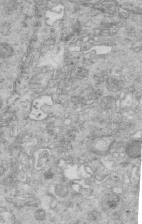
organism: Mouse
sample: Multiciliated cells